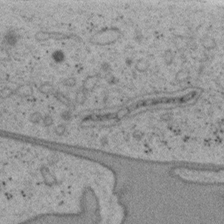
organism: Human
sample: HeLa cells